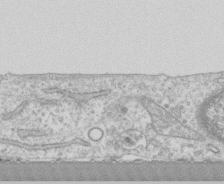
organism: Human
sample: CRL-1474